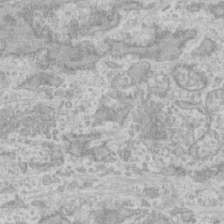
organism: Human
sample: CRL-1474